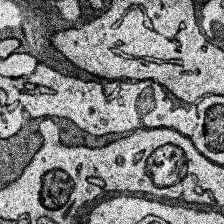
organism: Human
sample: Temporal Lobe